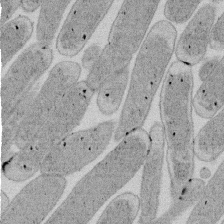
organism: E. coli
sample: Bacterial nucleoid